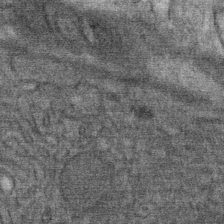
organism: Mouse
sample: Mouse Salivary gland